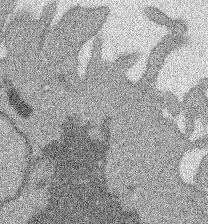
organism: Human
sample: HeLa cells